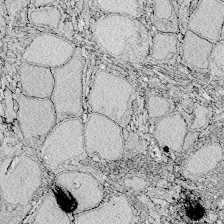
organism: Zebrafish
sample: Whole-Brain